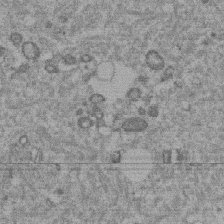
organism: Mouse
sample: Dividing mouse embryo 1 cell stage